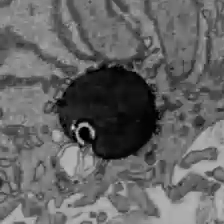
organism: C57BL Mouse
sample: Liver